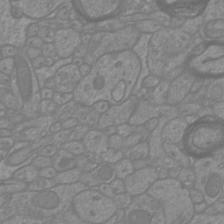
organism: Mouse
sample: Cortical neurons